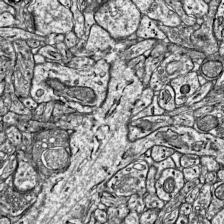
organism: Mouse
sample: Visual Cortex